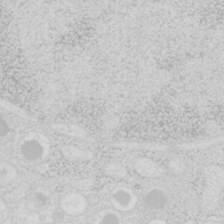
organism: Mouse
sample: Pancreas